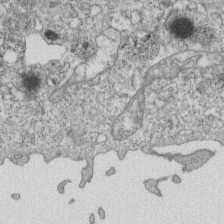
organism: Human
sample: HeLa cell HIV synapse